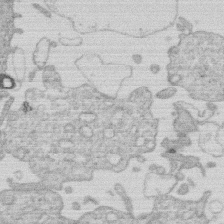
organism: Human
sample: Macrophage cells